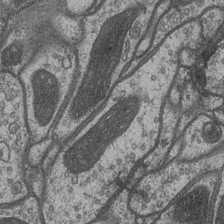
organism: Drosophila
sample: Optic medulla